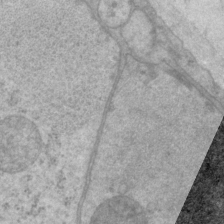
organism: P. pacificus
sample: Pharynx